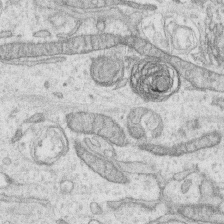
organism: Human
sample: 1205lu cells